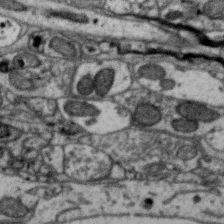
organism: Zebra finch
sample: Brain